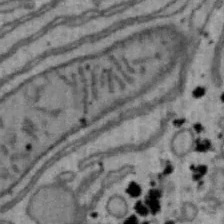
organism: Mouse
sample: Liver